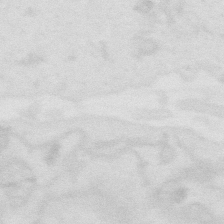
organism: Human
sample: HeLa cells